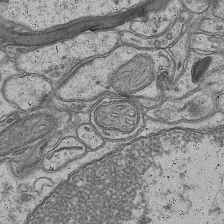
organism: Mouse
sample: CA1 Hippocampus